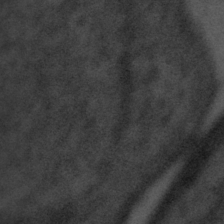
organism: Tuwongella immobilis